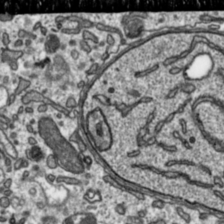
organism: Toxoplasma gondii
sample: Parasites in a vacuole inside a host cell